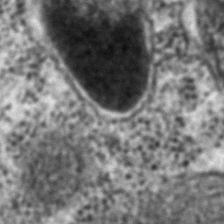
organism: C. elegans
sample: C. elegans embryo